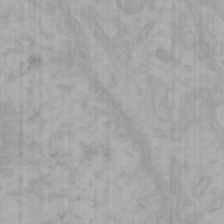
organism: Mouse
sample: Choroid plexus